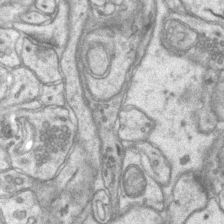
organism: Mouse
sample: CA1 Hippocampus